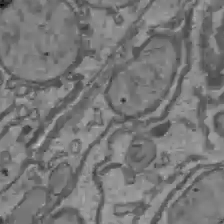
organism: C57BL Mouse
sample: Liver